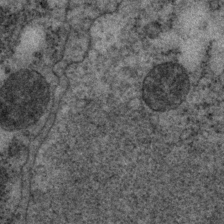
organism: P. pacificus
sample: Pharynx